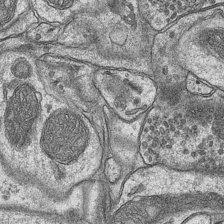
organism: Mouse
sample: CA1 Hippocampus